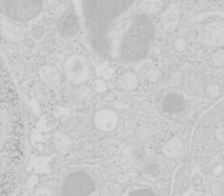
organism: Mouse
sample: Pancreas